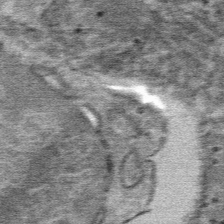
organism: Mouse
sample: Mouse Salivary gland